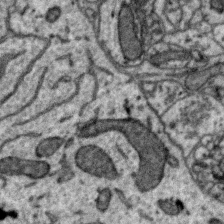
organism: Zebra finch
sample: Brain